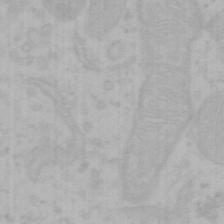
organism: Mouse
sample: Choroid plexus